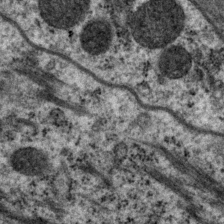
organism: P. pacificus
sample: Pharynx